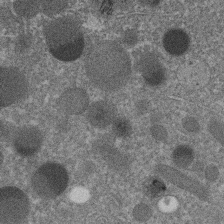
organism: C. elegans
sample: C. elegans embryo early stage